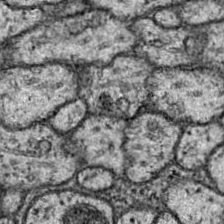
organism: Drosophila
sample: Ventral Nerve Cord